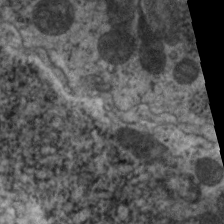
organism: C. elegans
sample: Pharynx